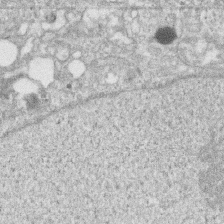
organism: Human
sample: HeLa cell HIV synapse